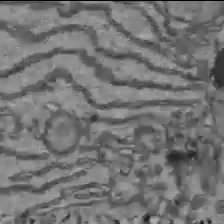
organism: C57BL Mouse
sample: Liver